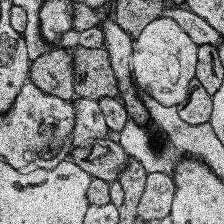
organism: Human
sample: Temporal Lobe